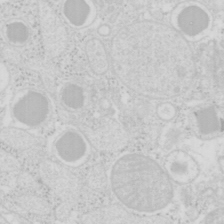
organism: Mouse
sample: Pancreas